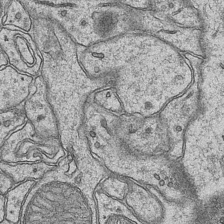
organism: Mouse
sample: CA1 Hippocampus